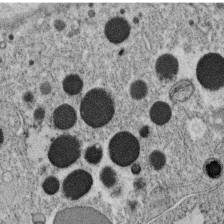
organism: C. elegans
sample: C. elegans oocyte; sperm cells